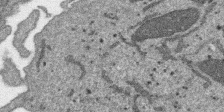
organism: Human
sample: Lung epithelial cells infected with SARS-CoV-2